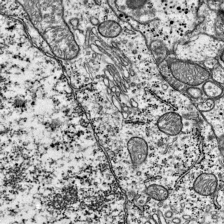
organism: Mouse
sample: Visual Cortex